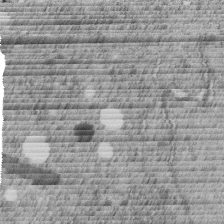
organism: C. elegans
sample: C. elegans embryo early stage